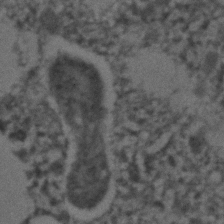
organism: C. elegans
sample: C. elegans embryo